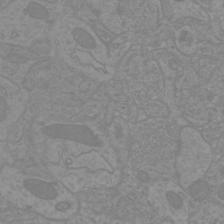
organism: Mouse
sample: Cortical neurons